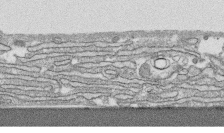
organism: Human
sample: CRL-1474